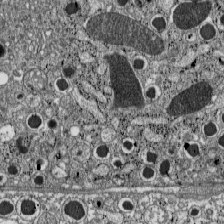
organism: C57BL Mouse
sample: Pancreatic islet